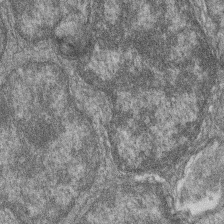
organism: Zebrafish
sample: Cilia; retinal pigment epithelium